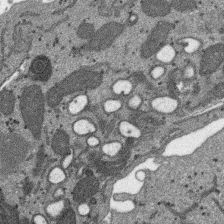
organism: Human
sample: Lung epithelial cells infected with SARS-CoV-2